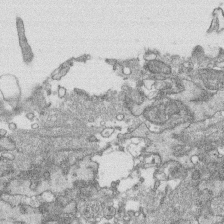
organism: Human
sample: CRL-1474